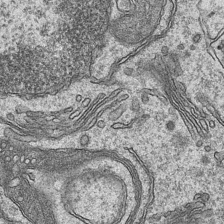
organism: Mouse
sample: CA1 Hippocampus